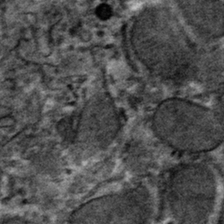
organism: Mouse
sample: Mouse hepatocytes